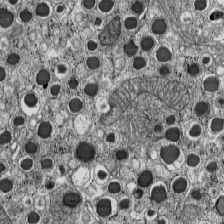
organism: C57BL Mouse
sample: Pancreatic islet